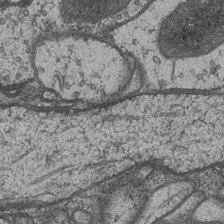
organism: Drosophila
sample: Optic medulla